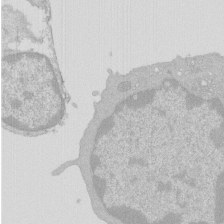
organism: Mouse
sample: Activated Pmel transgenic CD8+ T Cells